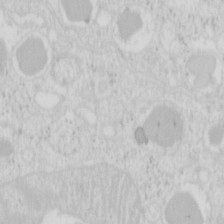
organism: Mouse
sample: Pancreas